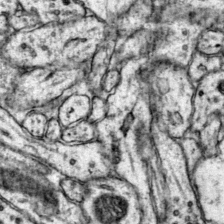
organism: Mouse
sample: Primary visual cortex